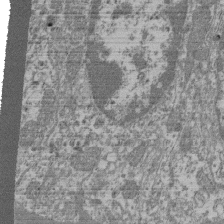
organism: Mouse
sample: Glomerulus